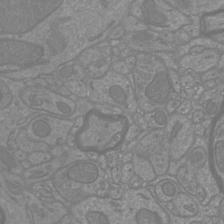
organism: Mouse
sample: Cortical neurons